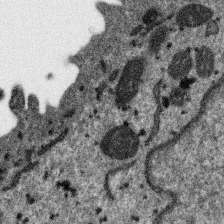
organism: Human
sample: Lung epithelial cells infected with SARS-CoV-2